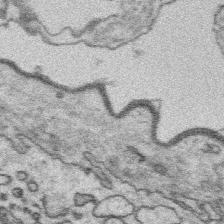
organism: Platynereis dumerilii